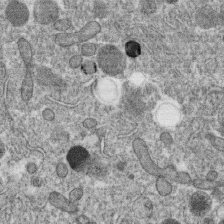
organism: C. elegans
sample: C. elegans oocyte; sperm cells